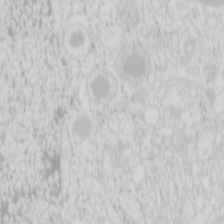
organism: Mouse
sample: Pancreas